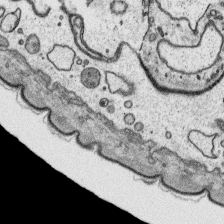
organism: Platynereis dumerilii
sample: Parapodia